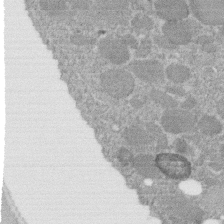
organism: C. elegans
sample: C. elegans embryo early stage